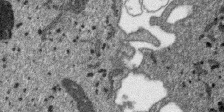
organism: Human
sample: Lung epithelial cells infected with SARS-CoV-2